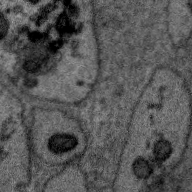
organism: Zebra finch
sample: Brain